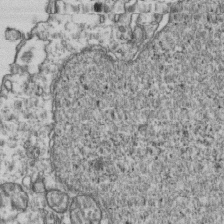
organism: Human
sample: Activated Jurkat CD4+ T cells